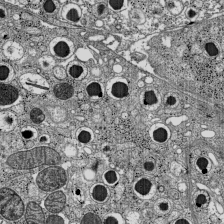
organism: C57BL Mouse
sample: Pancreatic islet